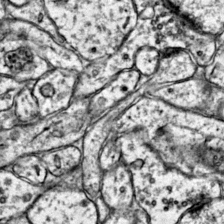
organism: Mouse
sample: Primary visual cortex